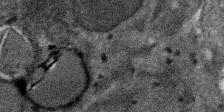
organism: Human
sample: Lung epithelial cells infected with SARS-CoV-2